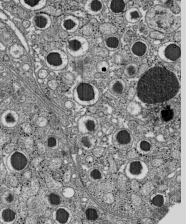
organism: C57BL Mouse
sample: Pancreatic islet